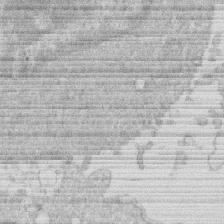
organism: Human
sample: Macrophage cells